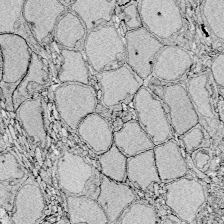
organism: Zebrafish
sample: Whole-Brain